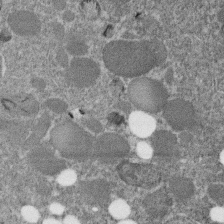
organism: C. elegans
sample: C. elegans embryo early stage